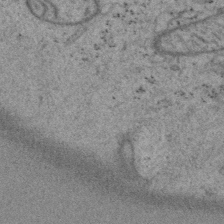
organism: Human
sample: HeLa cells